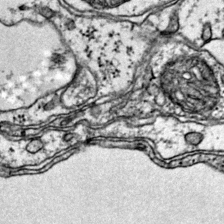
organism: Mouse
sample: Primary visual cortex